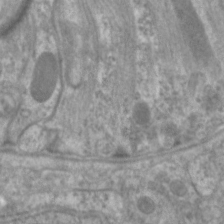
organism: C. elegans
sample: Pharynx